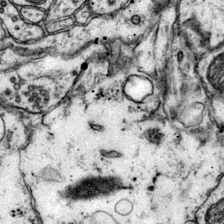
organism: Mouse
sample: Primary visual cortex